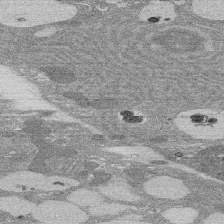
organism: Rat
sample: Salivary granule